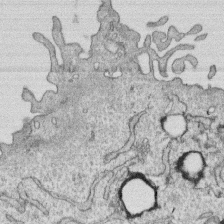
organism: Human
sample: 1205lu cells